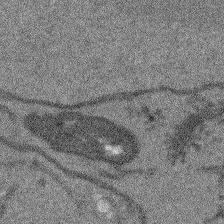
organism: Arabidopsis thaliana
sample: Root tip